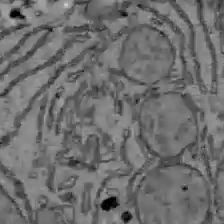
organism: C57BL Mouse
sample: Liver